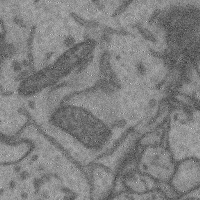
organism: Mouse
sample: Cerebral cortex